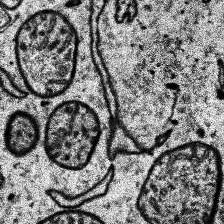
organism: Human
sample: Temporal Lobe